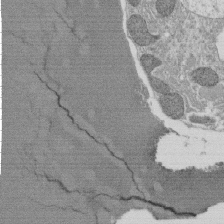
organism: Tetrahymena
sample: Cilia in tetrahymena